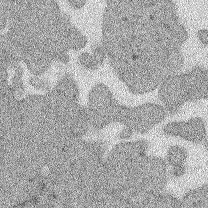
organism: Human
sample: HeLa cells